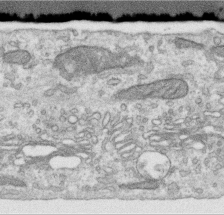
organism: Human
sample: Centriole in RPE cells